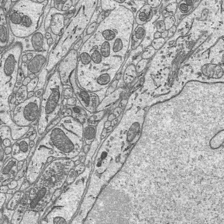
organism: Mouse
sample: Suprachiasmatic nucleus